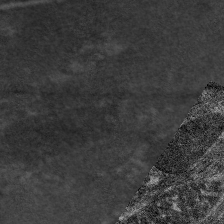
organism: C. elegans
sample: Pharynx